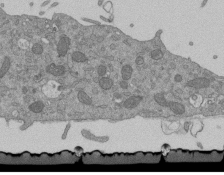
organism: Mouse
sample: ED-1 cell nuclei; centrioles